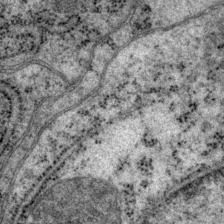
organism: P. pacificus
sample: Pharynx